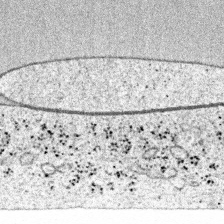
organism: Human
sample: HeLa cells